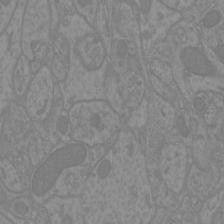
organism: Mouse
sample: Cortical neurons